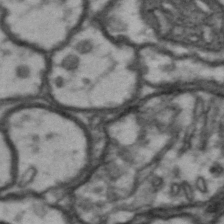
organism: Drosophila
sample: Brain